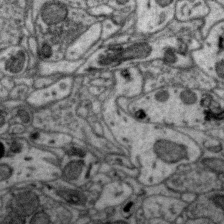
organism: Zebra finch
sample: Brain